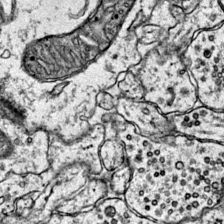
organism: Mouse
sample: Primary visual cortex